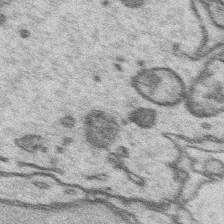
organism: Platynereis dumerilii